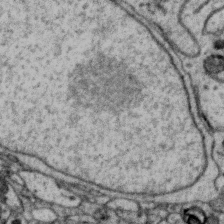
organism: Zebra finch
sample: Brain